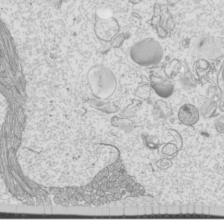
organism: Mouse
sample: Cilia; mouse epididymis